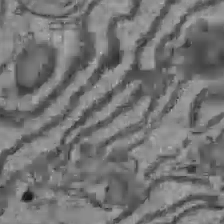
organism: C57BL Mouse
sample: Liver